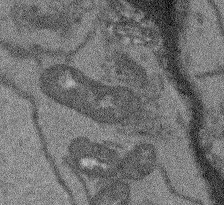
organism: Arabidopsis thaliana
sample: Root tip